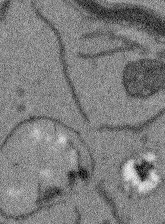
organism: Arabidopsis thaliana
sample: Root tip